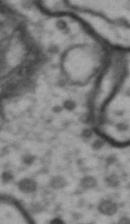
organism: Drosophila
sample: Brain